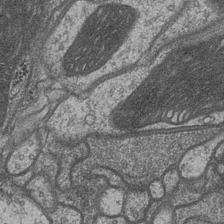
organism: Drosophila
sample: Optic medulla